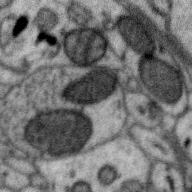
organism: Zebra finch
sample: Brain